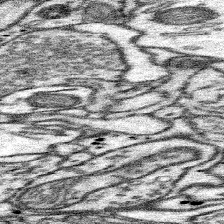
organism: Mouse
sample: Somatosensory cortex neuropil